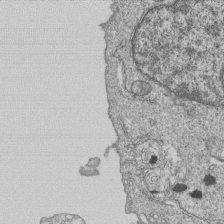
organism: Human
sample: MDA-MB-231 cells